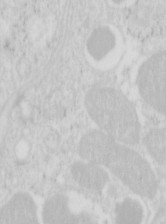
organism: Mouse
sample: Pancreas